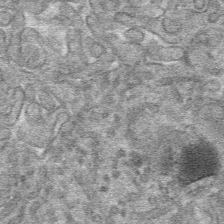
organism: Mouse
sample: Mouse hepatocytes